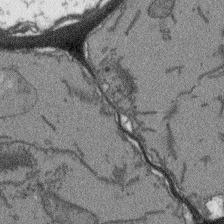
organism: Arabidopsis thaliana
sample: Root tip